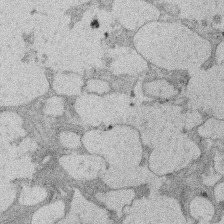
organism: Rat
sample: Salivary granule